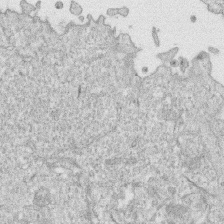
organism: Human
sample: HeLa cell HIV synapse